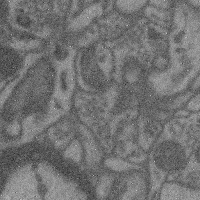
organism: Mouse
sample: Cerebral cortex